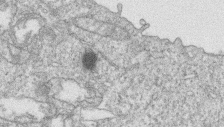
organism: Human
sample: HeLa cell HIV synapse